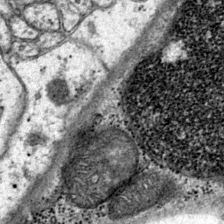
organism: Mouse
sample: Primary visual cortex